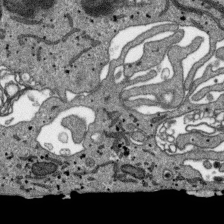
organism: Human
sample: Lung epithelial cells, uninfected (mock) control